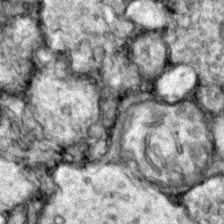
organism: Zebrafish